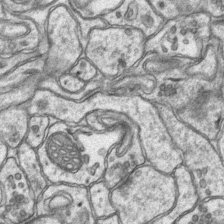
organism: Mouse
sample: CA1 Hippocampus